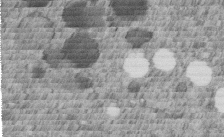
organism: C. elegans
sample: C. elegans embryo early stage